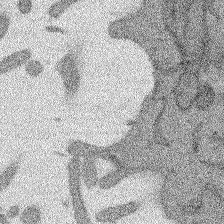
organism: Human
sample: HeLa cells